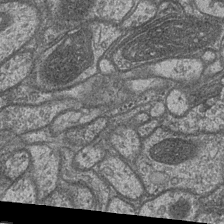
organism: Drosophila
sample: Optic medulla